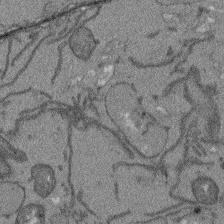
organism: Arabidopsis thaliana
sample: Root tip